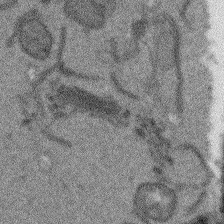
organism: Arabidopsis thaliana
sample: Root tip